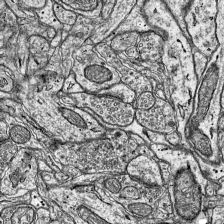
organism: Mouse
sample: Visual Cortex